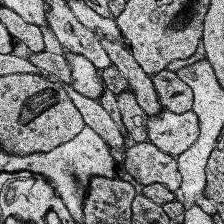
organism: Human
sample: Temporal Lobe